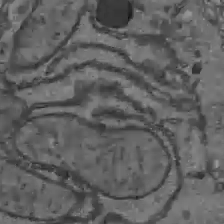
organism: C57BL Mouse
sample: Liver